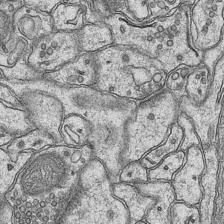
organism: Mouse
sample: CA1 Hippocampus